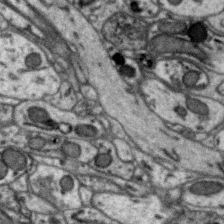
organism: Zebra finch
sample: Brain